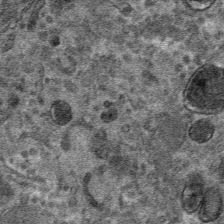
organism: Mouse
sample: Mouse hepatocytes